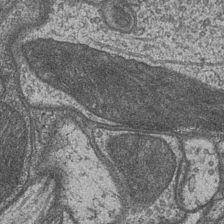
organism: Drosophila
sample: Optic medulla